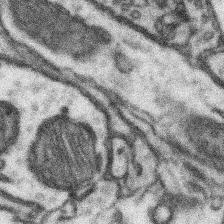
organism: Mouse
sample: Somatosensory cortex neuropil